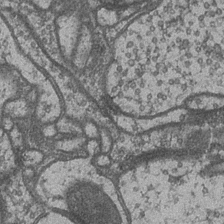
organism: Drosophila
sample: Optic medulla